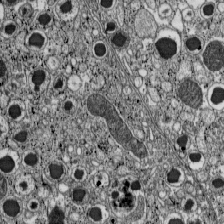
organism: C57BL Mouse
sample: Pancreatic islet